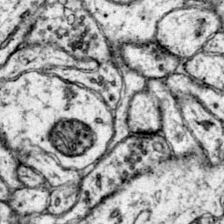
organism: Mouse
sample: Primary visual cortex